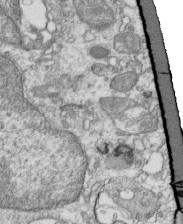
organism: Mouse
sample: Activated OT-1 CD8+ T cells